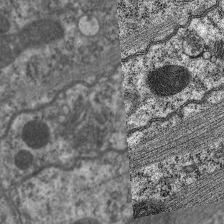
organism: C. elegans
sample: Pharynx